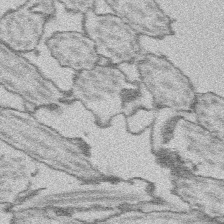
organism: Platynereis dumerilii